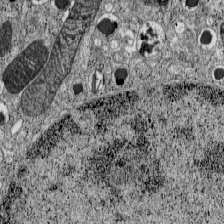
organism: C57BL Mouse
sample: Pancreatic islet